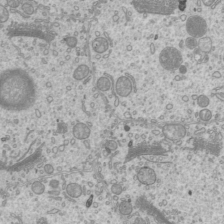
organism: Mouse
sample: Cilia; mouse epididymis